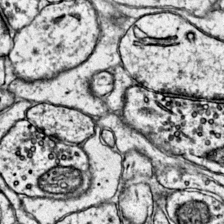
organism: Mouse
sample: Primary visual cortex